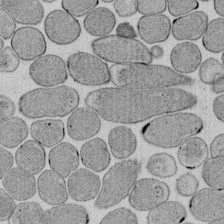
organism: E. coli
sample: Bacterial nucleoid